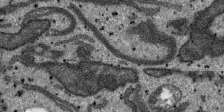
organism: Human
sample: Lung epithelial cells, uninfected (mock) control